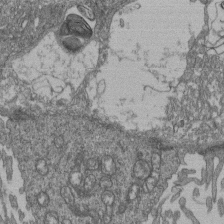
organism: Human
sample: Retinal organoid Rod and Cone cells